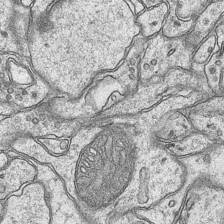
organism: Mouse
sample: CA1 Hippocampus